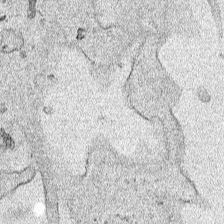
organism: Human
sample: Mitochondria in HCT116 cells